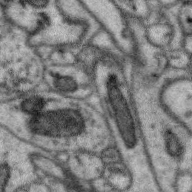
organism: Zebra finch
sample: Brain